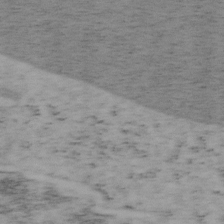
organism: Mouse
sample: OT-I killer T cells with ID8 ovarian cancer cells